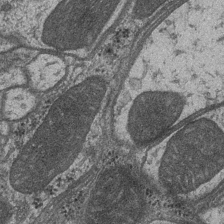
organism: Drosophila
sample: Optic medulla